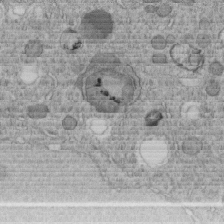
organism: C. elegans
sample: C. elegans embryo early stage